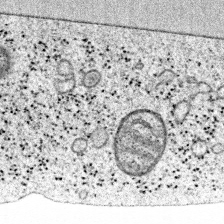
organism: Human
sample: HeLa cells